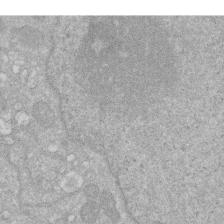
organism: Human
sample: HIV infected U937 cells